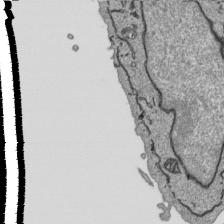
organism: Human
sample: Mitochondria in HCT116 cells